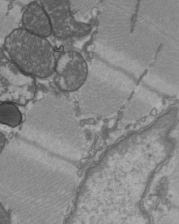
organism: C57BL Mouse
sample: Heart